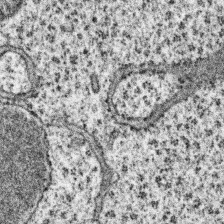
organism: Human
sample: HeLa cells